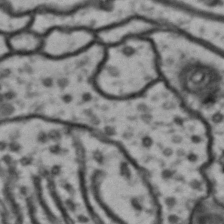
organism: Drosophila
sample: Brain